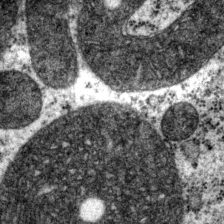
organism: P. pacificus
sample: Pharynx